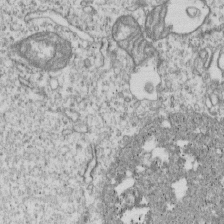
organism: Human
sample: MDA-MB-231 cells